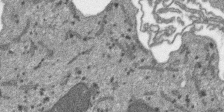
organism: Human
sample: Lung epithelial cells infected with SARS-CoV-2